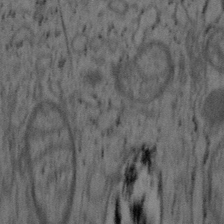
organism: Human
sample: HeLa cells